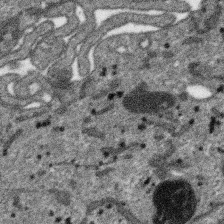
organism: Human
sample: Lung epithelial cells infected with SARS-CoV-2